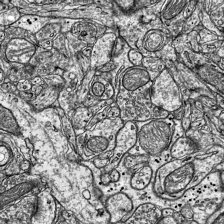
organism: Mouse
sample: Visual Cortex